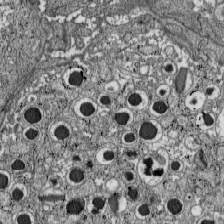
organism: C57BL Mouse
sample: Pancreatic islet